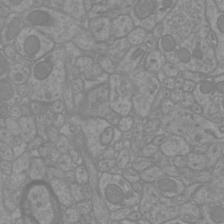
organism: Mouse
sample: Cortical neurons